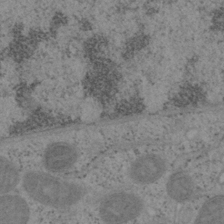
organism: Mouse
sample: OT-I killer T cells with ID8 ovarian cancer cells